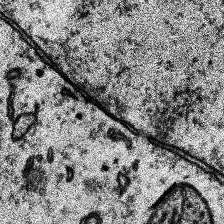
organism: Human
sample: Temporal Lobe